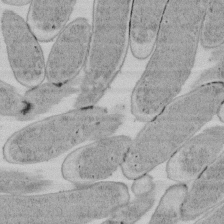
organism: E. coli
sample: Bacterial nucleoid